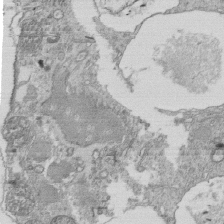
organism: Tetrahymena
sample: Cilia in tetrahymena